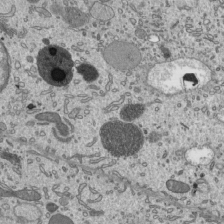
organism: Mouse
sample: Mouse epididymis efferent ductule cilia